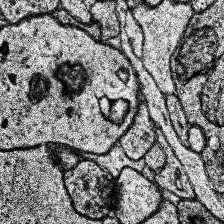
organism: Human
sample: Temporal Lobe